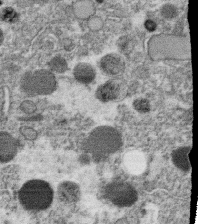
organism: C. elegans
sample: C. elegans oocyte; sperm cells